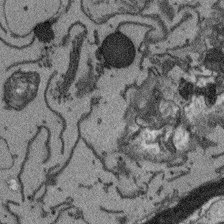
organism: Arabidopsis thaliana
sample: Root tip